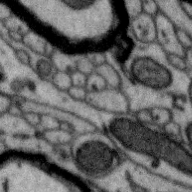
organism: Zebra finch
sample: Brain